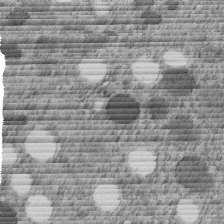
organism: C. elegans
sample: C. elegans embryo early stage